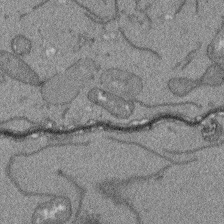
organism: Arabidopsis thaliana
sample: Root tip